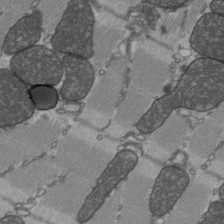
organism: C57BL Mouse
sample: Heart